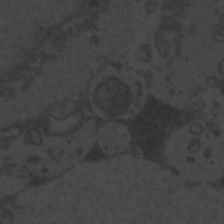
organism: Zebrafish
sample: Macrophage infected with Toxoplasma gondii